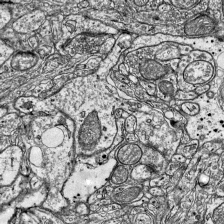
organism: Mouse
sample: Visual Cortex